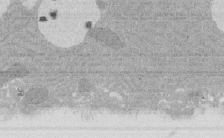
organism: Rat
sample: Salivary granule